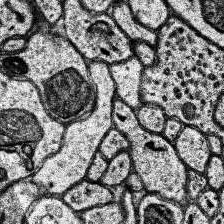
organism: Human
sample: Temporal Lobe